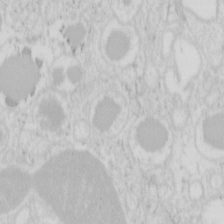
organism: Mouse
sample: Pancreas